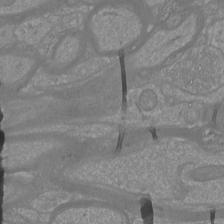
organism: Mouse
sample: Cortical neurons